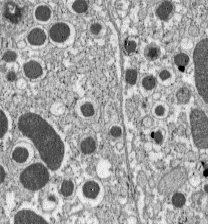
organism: C57BL Mouse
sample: Pancreatic islet